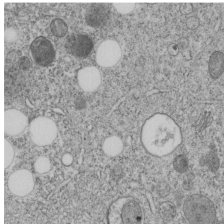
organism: C. elegans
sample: C. elegans embryo early stage